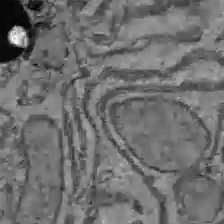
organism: C57BL Mouse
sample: Liver